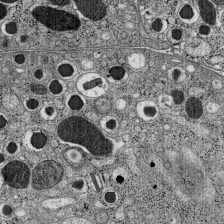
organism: C57BL Mouse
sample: Pancreatic islet